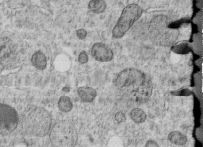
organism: C. elegans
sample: C. elegans embryo early stage